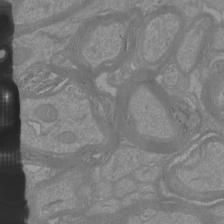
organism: Mouse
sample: Cortical neurons